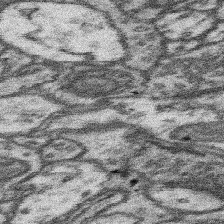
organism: Mouse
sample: Somatosensory cortex neuropil